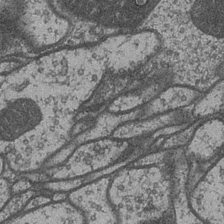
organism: Drosophila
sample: Optic medulla